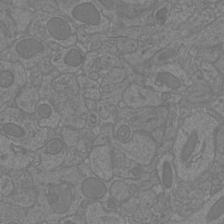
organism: Mouse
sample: Cortical neurons